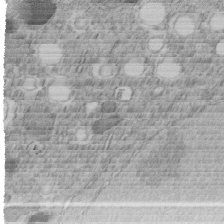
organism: C. elegans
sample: C. elegans embryo early stage